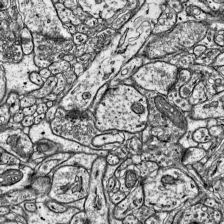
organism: Mouse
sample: Visual Cortex